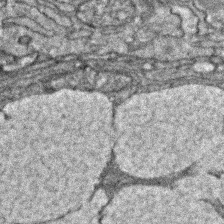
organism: Zebrafish